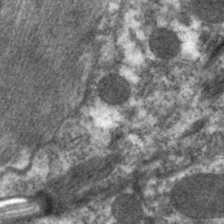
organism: C. elegans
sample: Pharynx